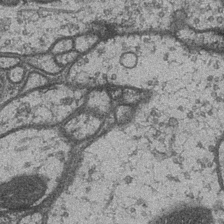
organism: Drosophila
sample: Optic medulla